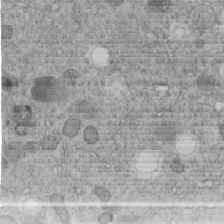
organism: C. elegans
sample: C. elegans embryo early stage